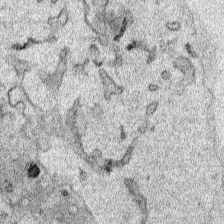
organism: Human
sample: Mitochondria in HCT116 cells